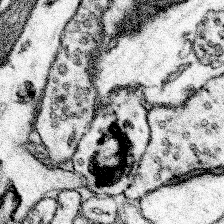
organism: Mouse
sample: Somatosensory cortex neuropil